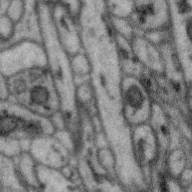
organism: Zebra finch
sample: Brain